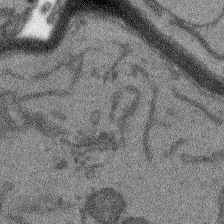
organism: Arabidopsis thaliana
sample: Root tip